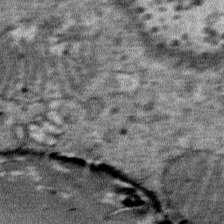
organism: Mouse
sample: Mouse Salivary gland